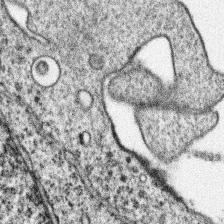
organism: Human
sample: HeLa cells